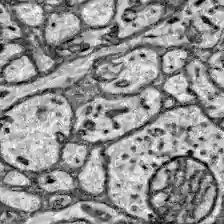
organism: Zebrafish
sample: Brain